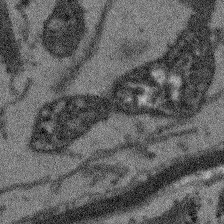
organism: Arabidopsis thaliana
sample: Root tip